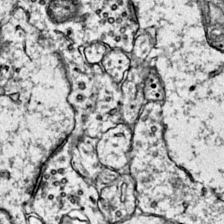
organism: Mouse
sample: Primary visual cortex